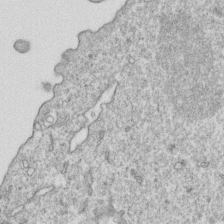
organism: Mouse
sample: Activated OT-1 CD8+ T cells